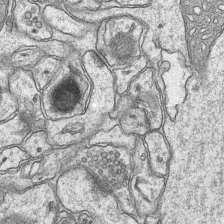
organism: Mouse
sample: CA1 Hippocampus